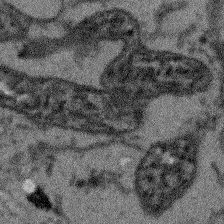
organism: Arabidopsis thaliana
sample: Root tip